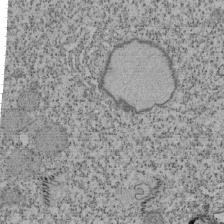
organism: Tetrahymena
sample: Cilia in tetrahymena